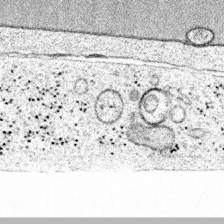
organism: Human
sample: HeLa cells